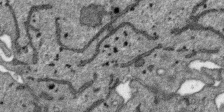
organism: Human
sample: Lung epithelial cells, uninfected (mock) control